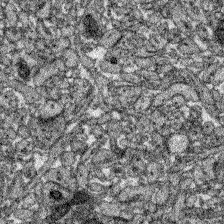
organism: Zebrafish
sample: Larval olfactory bulb